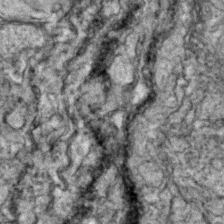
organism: Zebrafish